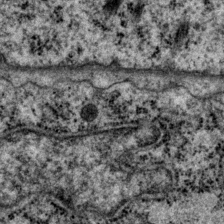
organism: P. pacificus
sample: Pharynx